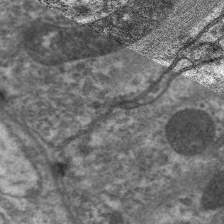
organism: C. elegans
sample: Pharynx